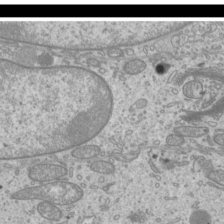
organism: Mouse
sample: Cilia; mouse epididymis